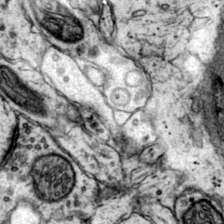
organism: Mouse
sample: Primary visual cortex